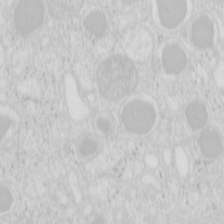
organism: Mouse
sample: Pancreas